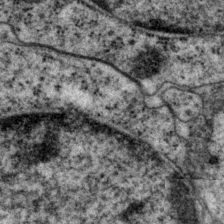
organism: P. pacificus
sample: Pharynx